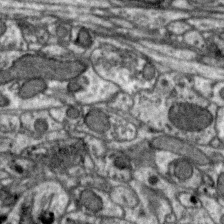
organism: Zebra finch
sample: Brain